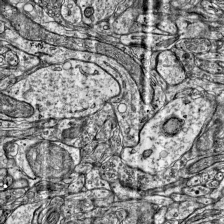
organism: Mouse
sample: Visual Cortex